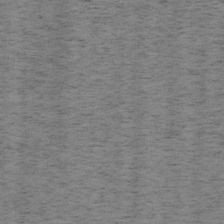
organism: Mouse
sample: OT-I killer T cells with ID8 ovarian cancer cells